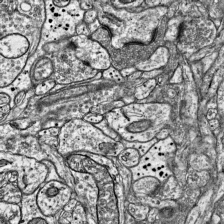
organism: Mouse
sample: Visual Cortex